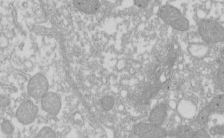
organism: Xenopus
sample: Cilia; centrioles in frog embryo cells